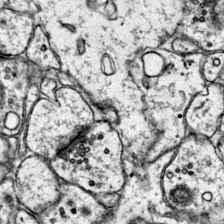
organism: Mouse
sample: Primary visual cortex